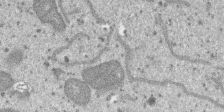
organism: Human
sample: Lung epithelial cells infected with SARS-CoV-2